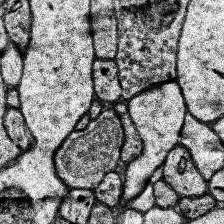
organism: Human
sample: Temporal Lobe